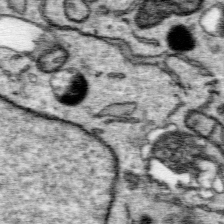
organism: Human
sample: HeLa cells